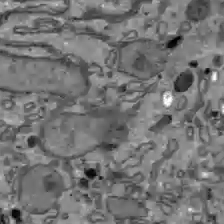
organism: C57BL Mouse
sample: Liver